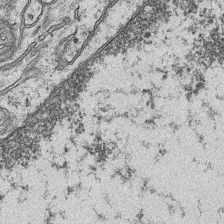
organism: Mouse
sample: CA1 Hippocampus